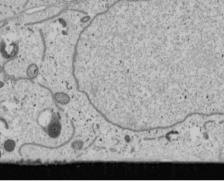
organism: Human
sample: Mitochondria in U2OS cells